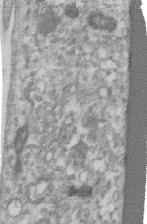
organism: Human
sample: Centriole in RPE cells